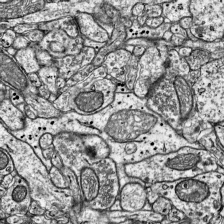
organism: Mouse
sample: Visual Cortex